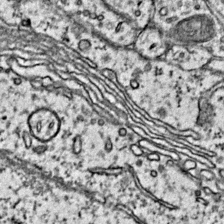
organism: Mouse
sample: Primary visual cortex